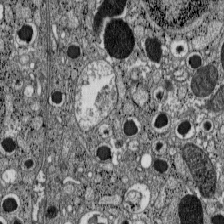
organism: C57BL Mouse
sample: Pancreatic islet